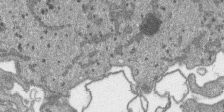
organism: Human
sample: Lung epithelial cells infected with SARS-CoV-2